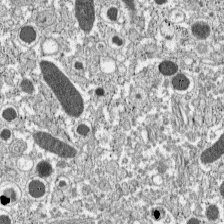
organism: C57BL Mouse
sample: Pancreatic islet